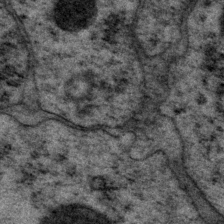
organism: P. pacificus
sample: Pharynx